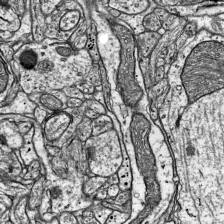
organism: Mouse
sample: Visual Cortex